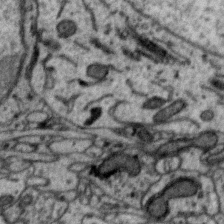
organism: Zebra finch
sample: Brain